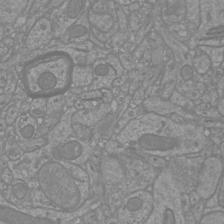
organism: Mouse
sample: Cortical neurons